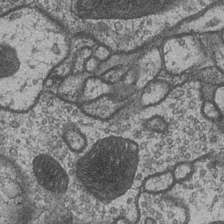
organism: Drosophila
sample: Optic medulla